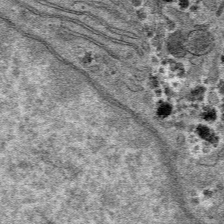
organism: Mouse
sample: Mouse hepatocytes